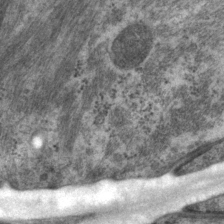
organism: P. pacificus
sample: Pharynx